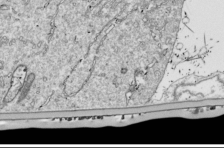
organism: Drosophila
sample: Cell division; meiosis; drosophila spermatocytes